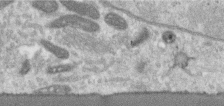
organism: Human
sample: Centriole in RPE cells